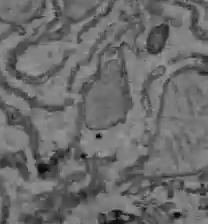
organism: C57BL Mouse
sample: Liver